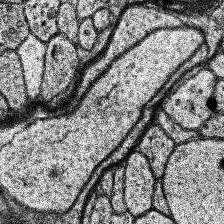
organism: Human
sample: Temporal Lobe